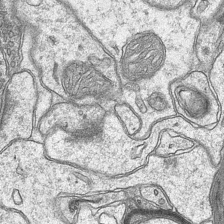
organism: Mouse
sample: CA1 Hippocampus